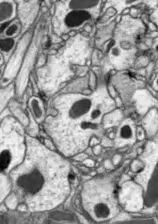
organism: Drosophila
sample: Optic lobe